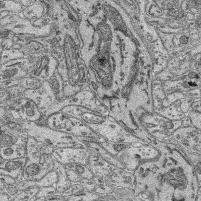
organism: Mouse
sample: Retina